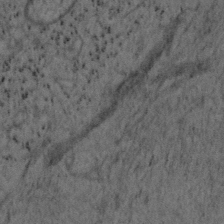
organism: Human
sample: HeLa cells